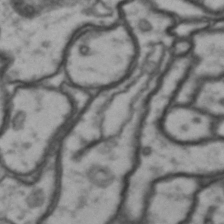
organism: Drosophila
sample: Brain